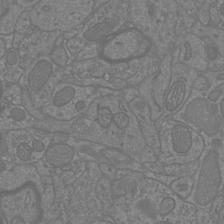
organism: Mouse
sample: Cortical neurons